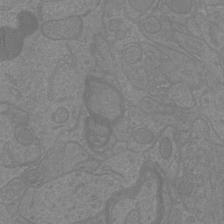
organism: Mouse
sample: Cortical neurons